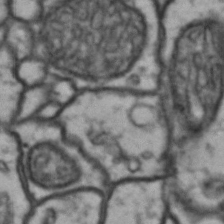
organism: Drosophila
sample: Brain